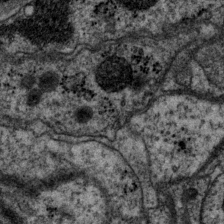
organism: P. pacificus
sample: Pharynx